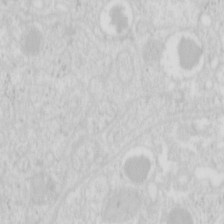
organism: Mouse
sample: Pancreas